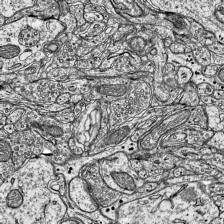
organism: Mouse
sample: Visual Cortex